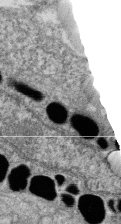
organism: Zebrafish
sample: Cilia; retinal pigment epithelium